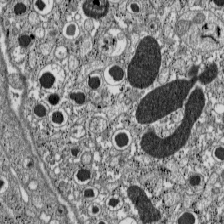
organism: C57BL Mouse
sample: Pancreatic islet